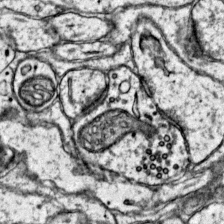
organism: Mouse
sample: Primary visual cortex